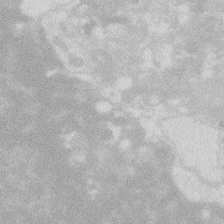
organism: Zebrafish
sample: Macrophage